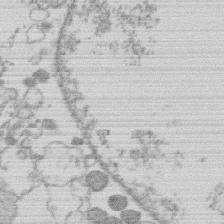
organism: Human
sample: Macrophage cells